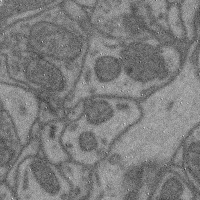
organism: Mouse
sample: Cerebral cortex